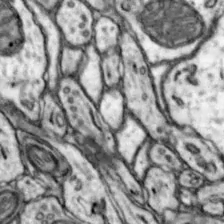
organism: Mouse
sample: Nucleus accumbens